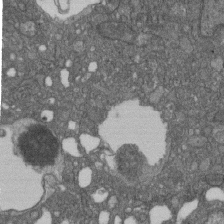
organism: Drosophila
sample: Nephrocyte